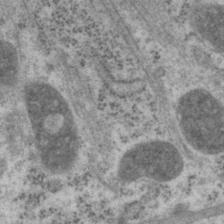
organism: P. pacificus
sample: Pharynx